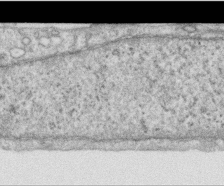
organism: Human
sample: Centriole in RPE cells